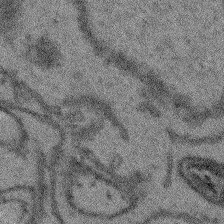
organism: Arabidopsis thaliana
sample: Root tip